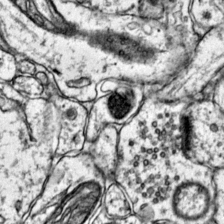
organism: Mouse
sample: Primary visual cortex